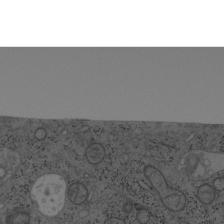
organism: Mouse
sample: OT-I killer T cells with ID8 ovarian cancer cells